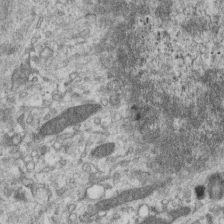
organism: Mouse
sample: Centriole in ependymal cells